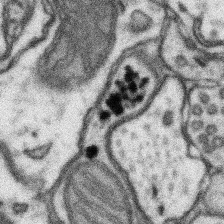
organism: Mouse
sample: Somatosensory cortex neuropil